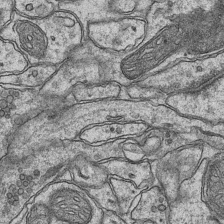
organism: Mouse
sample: CA1 Hippocampus